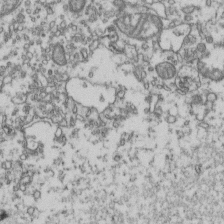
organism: Human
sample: Activated Jurkat CD4+ T cells